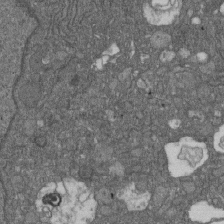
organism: Drosophila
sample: Nephrocyte